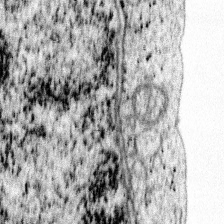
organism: Human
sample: HeLa cells